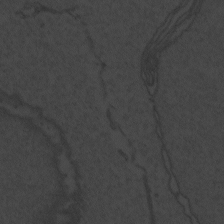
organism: Zebrafish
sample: Macrophage infected with Toxoplasma gondii